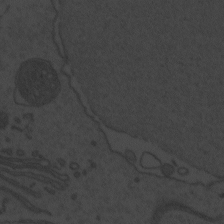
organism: Zebrafish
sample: Macrophage infected with Toxoplasma gondii